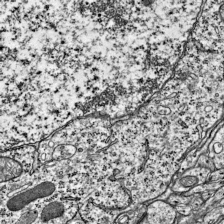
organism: Mouse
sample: Visual Cortex